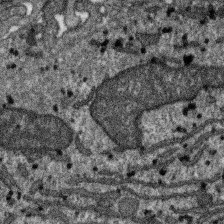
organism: Human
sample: Lung epithelial cells infected with SARS-CoV-2